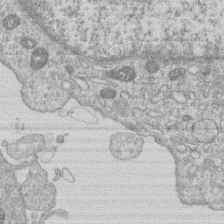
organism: Human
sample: Macrophage cells